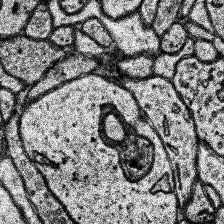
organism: Human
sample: Temporal Lobe